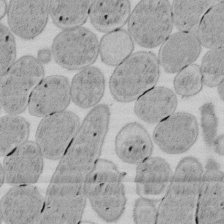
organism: E. coli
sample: Bacterial nucleoid